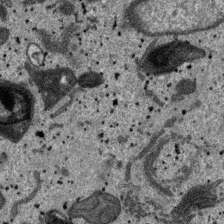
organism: Human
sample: Lung epithelial cells, uninfected (mock) control